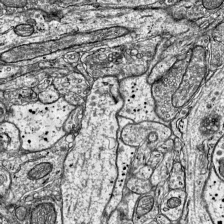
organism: Mouse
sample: Visual Cortex